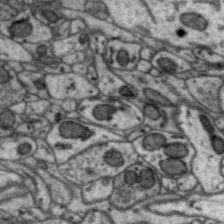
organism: Zebra finch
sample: Brain